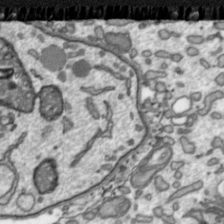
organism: Toxoplasma gondii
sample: Parasites in a vacuole inside a host cell